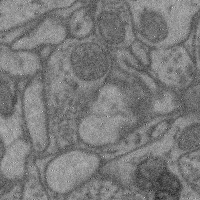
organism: Mouse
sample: Cerebral cortex